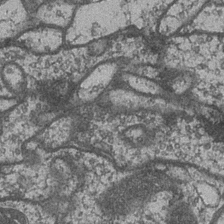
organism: Drosophila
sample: Optic medulla